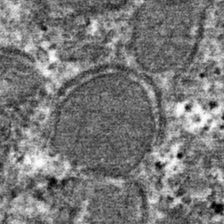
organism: Mouse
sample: Mouse hepatocytes